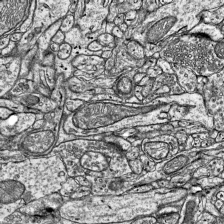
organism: Mouse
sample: Visual Cortex